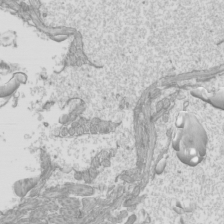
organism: Mouse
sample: Cilia; mouse epididymis